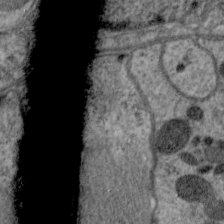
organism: C. elegans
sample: Pharynx